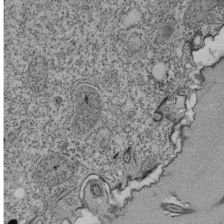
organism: Tetrahymena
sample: Cilia in tetrahymena